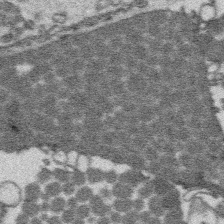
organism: Platynereis dumerilii